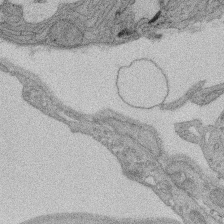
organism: Rat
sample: Salivary granule